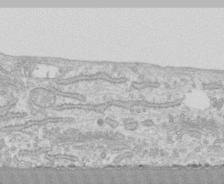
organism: Human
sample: CRL-1474